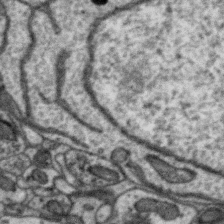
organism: Zebra finch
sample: Brain